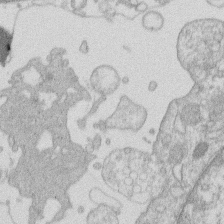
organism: Human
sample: Macrophage cells